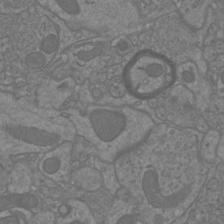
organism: Mouse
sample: Cortical neurons